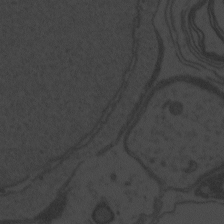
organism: Zebrafish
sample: Macrophage infected with Toxoplasma gondii